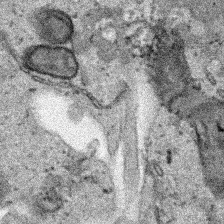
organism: Human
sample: Mitochondria in HCT116 cells